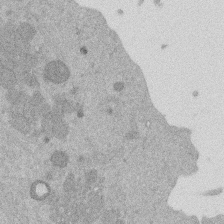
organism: Mouse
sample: Dividing mouse embryo 1 cell stage